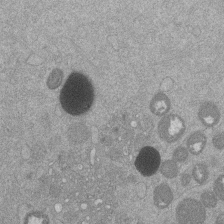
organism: Mouse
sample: Dividing mouse embryo 1 cell stage